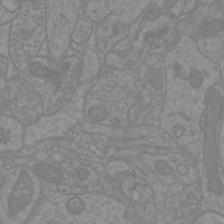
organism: Mouse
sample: Cortical neurons